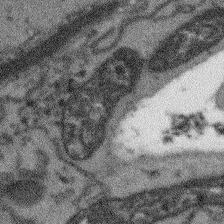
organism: Arabidopsis thaliana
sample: Root tip